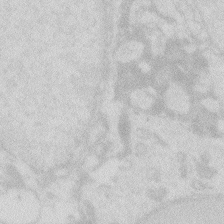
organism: Zebrafish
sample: Macrophage